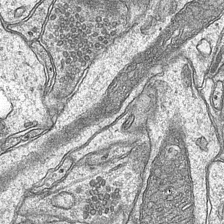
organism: Mouse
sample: CA1 Hippocampus